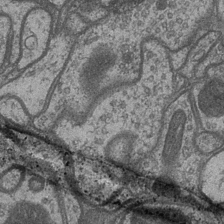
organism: Drosophila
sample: Optic medulla